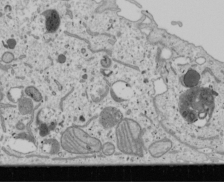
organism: Human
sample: Mitochondria in U2OS cells